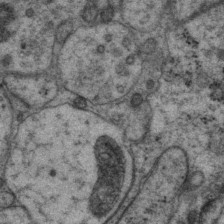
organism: P. pacificus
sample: Pharynx